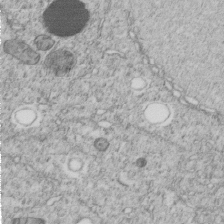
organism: C. elegans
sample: C. elegans embryo early stage